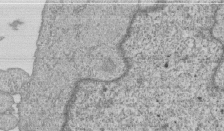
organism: Human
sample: MDA-MB-231 cells